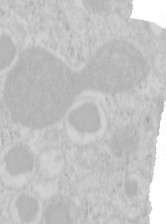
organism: Mouse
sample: Pancreas